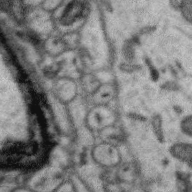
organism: Zebra finch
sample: Brain